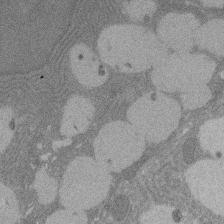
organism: Rat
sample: Salivary granule